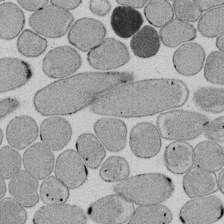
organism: E. coli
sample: Bacterial nucleoid